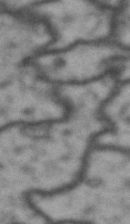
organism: Drosophila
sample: Brain